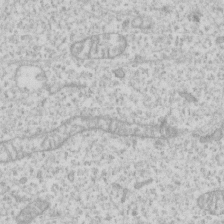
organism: Human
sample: Fibroblast cells